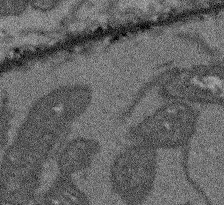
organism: Arabidopsis thaliana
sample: Root tip